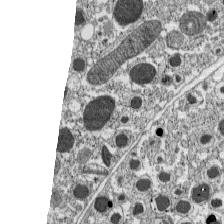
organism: C57BL Mouse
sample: Pancreatic islet